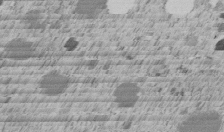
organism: C. elegans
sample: C. elegans embryo early stage